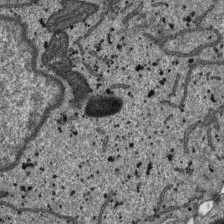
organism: Human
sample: Lung epithelial cells infected with SARS-CoV-2